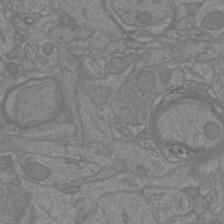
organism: Mouse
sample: Cortical neurons